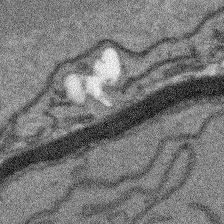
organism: Arabidopsis thaliana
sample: Root tip